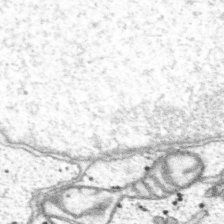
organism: Human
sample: HeLa cells